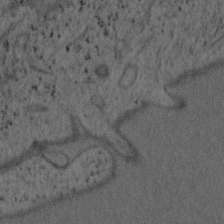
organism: Human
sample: HeLa cells